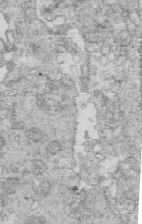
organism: Mouse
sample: Multiciliated cells